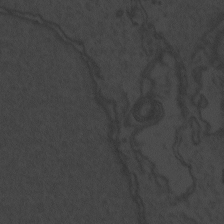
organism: Zebrafish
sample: Macrophage infected with Toxoplasma gondii